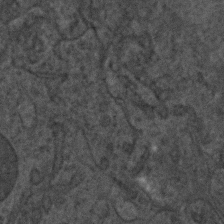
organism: C. elegans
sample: C. elegans embryo